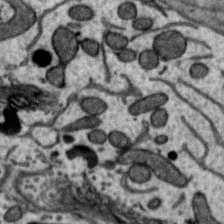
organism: Zebra finch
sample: Brain